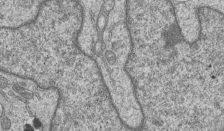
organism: Human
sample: MDA-MB-231 cells